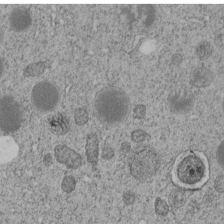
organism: C. elegans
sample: C. elegans embryo early stage